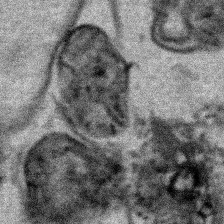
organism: Human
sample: Mitochondria in HCT116 cells